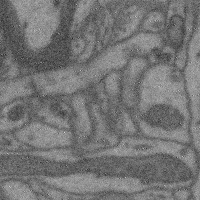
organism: Mouse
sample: Cerebral cortex